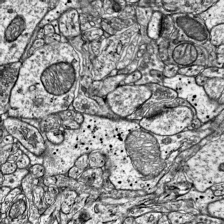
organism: Mouse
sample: Visual Cortex